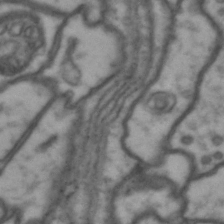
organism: Drosophila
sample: Brain